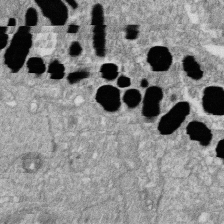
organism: Zebrafish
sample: Cilia; retinal pigment epithelium